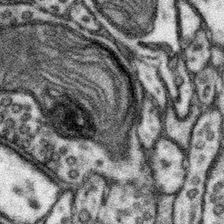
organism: Mouse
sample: Somatosensory cortex neuropil